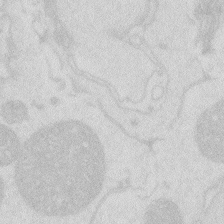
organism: Zebrafish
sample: Macrophage